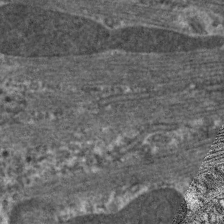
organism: C. elegans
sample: Pharynx